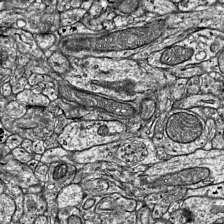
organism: Mouse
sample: Visual Cortex